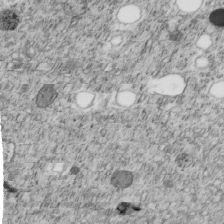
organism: C. elegans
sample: C. elegans embryo early stage